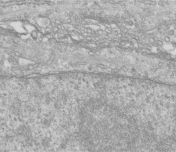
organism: Human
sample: Centriole in fibroblast cells